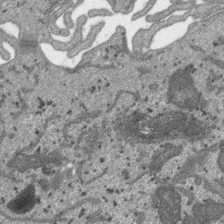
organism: Human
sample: Lung epithelial cells infected with SARS-CoV-2